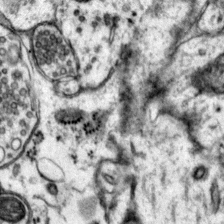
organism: Mouse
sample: Primary visual cortex